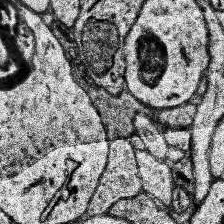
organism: Human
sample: Temporal Lobe